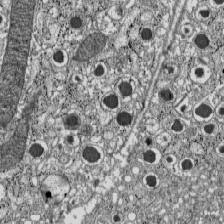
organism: C57BL Mouse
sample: Pancreatic islet